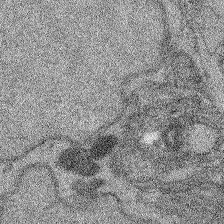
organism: Human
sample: HeLa cells